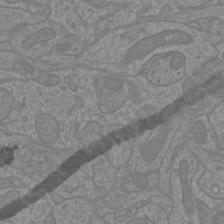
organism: Mouse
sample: Cortical neurons